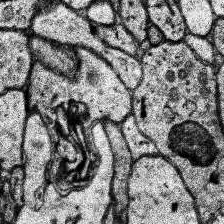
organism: Human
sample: Temporal Lobe